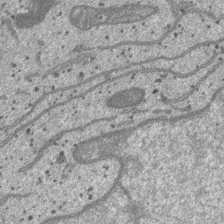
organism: Human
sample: Lung epithelial cells infected with SARS-CoV-2